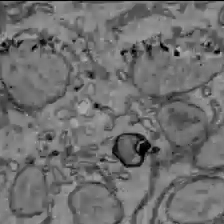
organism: C57BL Mouse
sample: Liver